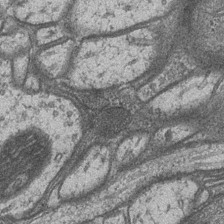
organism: Drosophila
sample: Optic medulla